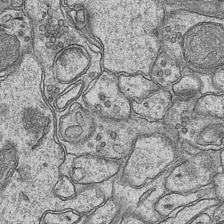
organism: Mouse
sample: CA1 Hippocampus